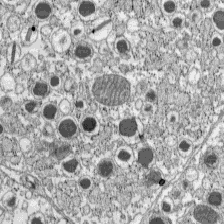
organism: C57BL Mouse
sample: Pancreatic islet